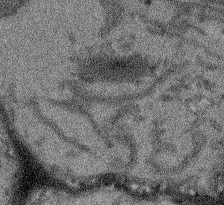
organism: Arabidopsis thaliana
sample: Root tip